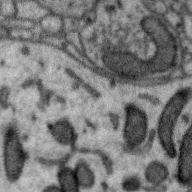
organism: Zebra finch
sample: Brain